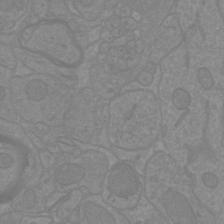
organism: Mouse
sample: Cortical neurons